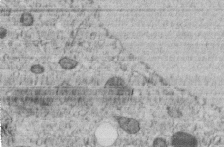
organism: C. elegans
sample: C. elegans embryo early stage